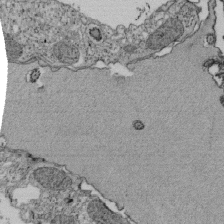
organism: Tetrahymena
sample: Cilia in tetrahymena